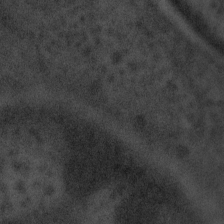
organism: Tuwongella immobilis